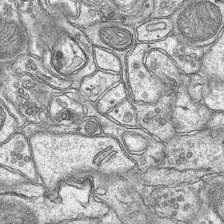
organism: Mouse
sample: CA1 Hippocampus